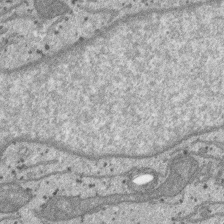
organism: Human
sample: Lung epithelial cells infected with SARS-CoV-2